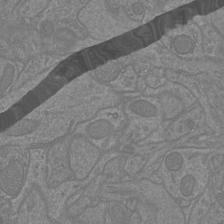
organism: Mouse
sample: Cortical neurons